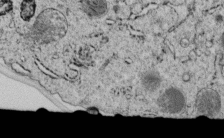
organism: C. elegans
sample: C. elegans embryo early stage